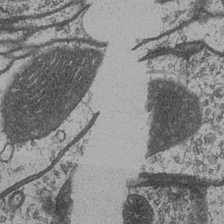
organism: Drosophila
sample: Optic medulla